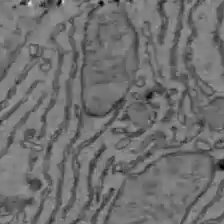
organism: C57BL Mouse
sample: Liver